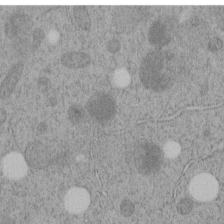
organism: C. elegans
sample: C. elegans embryo early stage